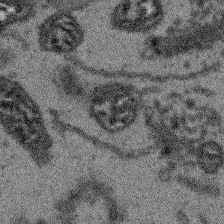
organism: Arabidopsis thaliana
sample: Root tip